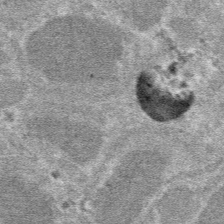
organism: Mouse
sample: Mouse hepatocytes